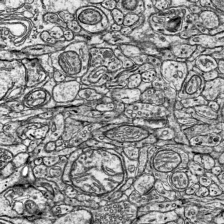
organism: Mouse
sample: Visual Cortex